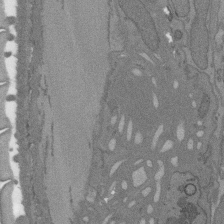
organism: C. elegans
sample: AFD neurons C. elegans